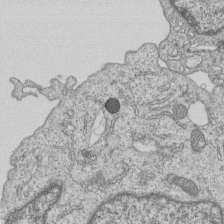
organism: Human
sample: MDA-MB-231 cells